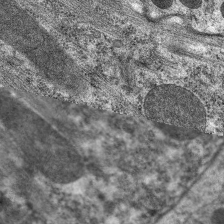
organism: C. elegans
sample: Pharynx